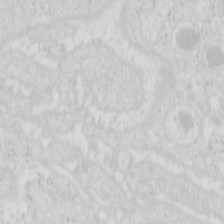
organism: Mouse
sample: Pancreas